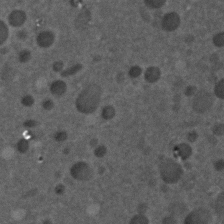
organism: C. elegans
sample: C. elegans embryo